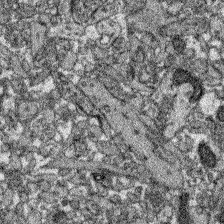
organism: Zebrafish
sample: Larval olfactory bulb